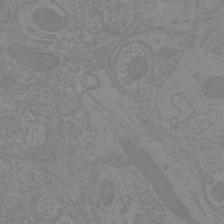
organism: Mouse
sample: Cortical neurons